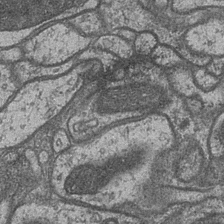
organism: Drosophila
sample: Optic medulla